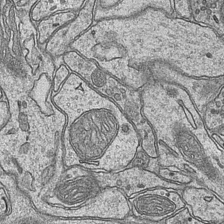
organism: Mouse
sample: CA1 Hippocampus